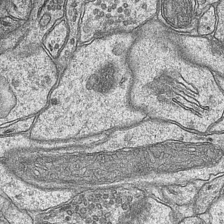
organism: Mouse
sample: CA1 Hippocampus